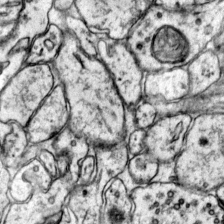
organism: Mouse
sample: Primary visual cortex